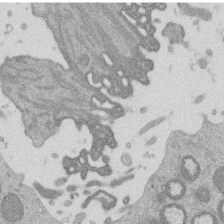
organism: Mouse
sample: Dividing mouse embryo 1 cell stage